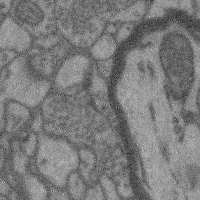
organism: Mouse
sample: Cerebral cortex